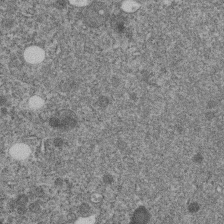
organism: C. elegans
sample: C. elegans embryo early stage